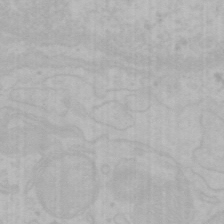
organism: Mouse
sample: Choroid plexus